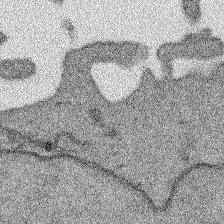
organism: Human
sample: HeLa cells